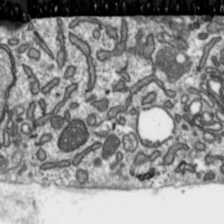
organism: Toxoplasma gondii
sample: Parasites in a vacuole inside a host cell